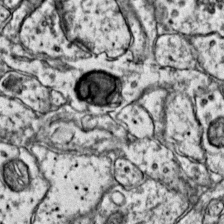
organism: Mouse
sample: Primary visual cortex